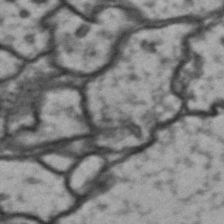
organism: Drosophila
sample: Brain